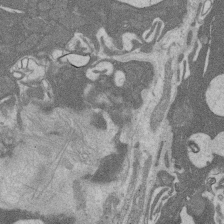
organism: Rat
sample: Salivary granule